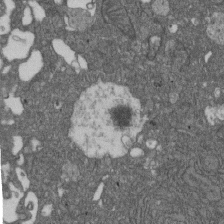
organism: Drosophila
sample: Nephrocyte